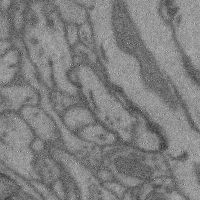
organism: Mouse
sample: Cerebral cortex